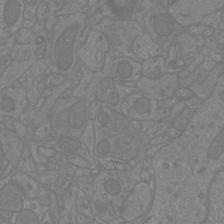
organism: Mouse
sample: Cortical neurons